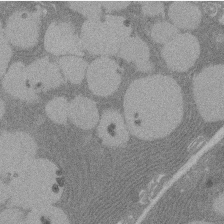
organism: Rat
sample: Salivary granule